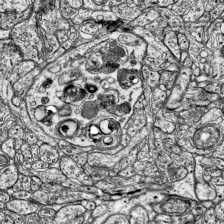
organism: Mouse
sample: Visual Cortex